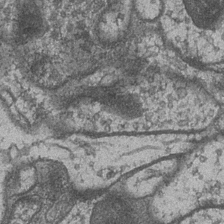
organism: Drosophila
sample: Optic medulla